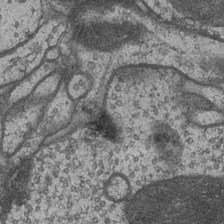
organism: Drosophila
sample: Optic medulla